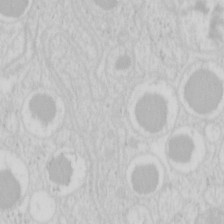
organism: Mouse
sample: Pancreas